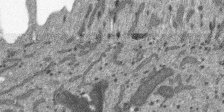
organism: Human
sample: Lung epithelial cells infected with SARS-CoV-2